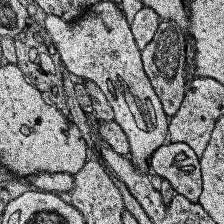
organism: Human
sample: Temporal Lobe